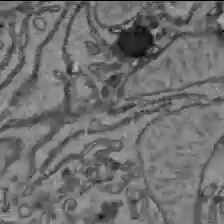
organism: C57BL Mouse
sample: Liver